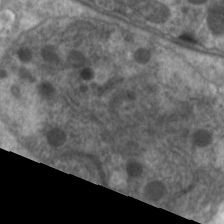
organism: C. elegans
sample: Pharynx